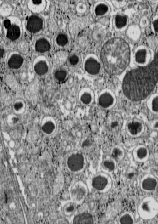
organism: C57BL Mouse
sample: Pancreatic islet